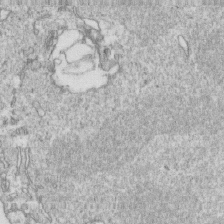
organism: Mouse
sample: Activated OT-1 CD8+ T cells